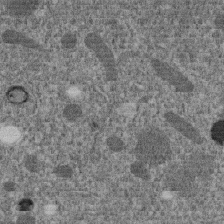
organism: C. elegans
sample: C. elegans embryo early stage